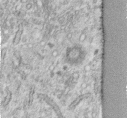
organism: Human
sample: Centriole in fibroblast cells